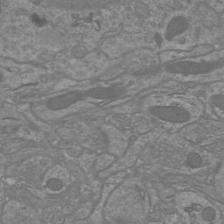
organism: Mouse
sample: Cortical neurons